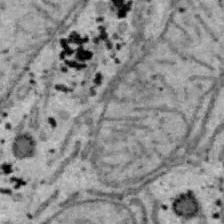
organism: Mouse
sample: Liver from an obese (ob/ob) mouse